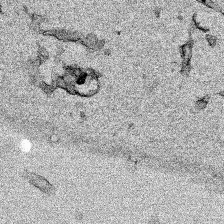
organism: Human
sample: Mitochondria in HCT116 cells